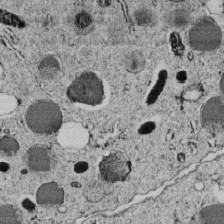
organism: C. elegans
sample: C. elegans embryo early stage